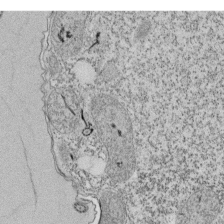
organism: Tetrahymena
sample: Cilia in tetrahymena